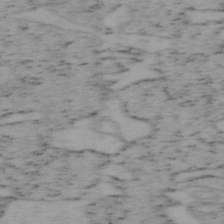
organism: Mouse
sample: OT-I killer T cells with ID8 ovarian cancer cells